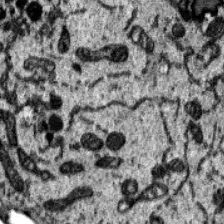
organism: Human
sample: HeLa cells